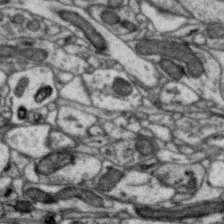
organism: Zebra finch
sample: Brain